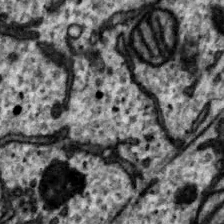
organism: Human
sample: HeLa cells